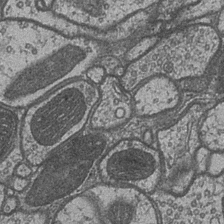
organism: Drosophila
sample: Optic medulla